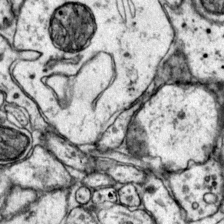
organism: Mouse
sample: Primary visual cortex